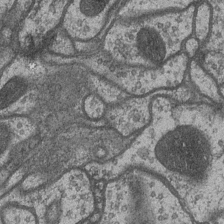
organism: Drosophila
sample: Optic medulla